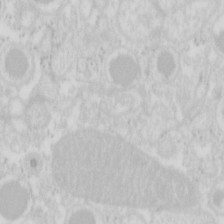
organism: Mouse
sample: Pancreas